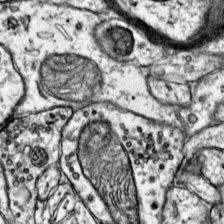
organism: Mouse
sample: Primary visual cortex